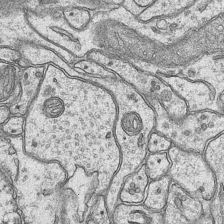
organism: Mouse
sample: CA1 Hippocampus